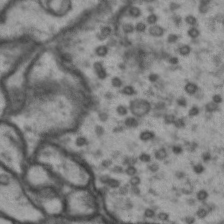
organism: Drosophila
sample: Brain